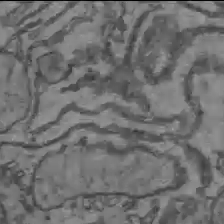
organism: C57BL Mouse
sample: Liver